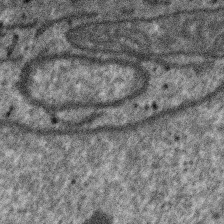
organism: Human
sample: Lung epithelial cells infected with SARS-CoV-2